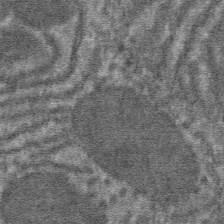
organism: Mouse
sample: Mouse hepatocytes